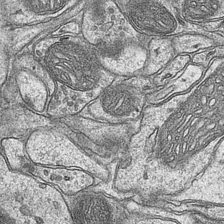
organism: Mouse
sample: CA1 Hippocampus